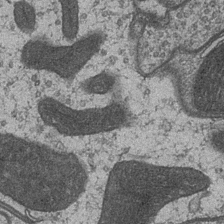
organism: Drosophila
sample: Optic medulla